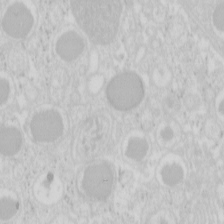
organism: Mouse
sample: Pancreas